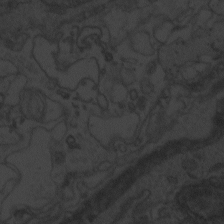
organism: Zebrafish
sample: Macrophage infected with Toxoplasma gondii